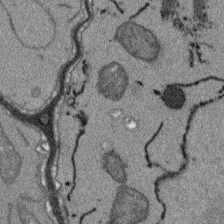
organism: Arabidopsis thaliana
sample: Root tip